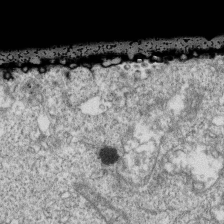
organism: Human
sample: HeLa cell HIV synapse